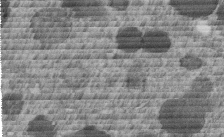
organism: C. elegans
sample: C. elegans embryo early stage